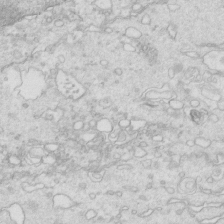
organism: Mouse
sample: Multiciliated cells